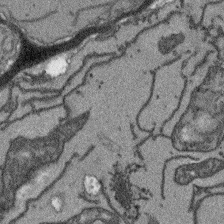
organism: Arabidopsis thaliana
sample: Root tip